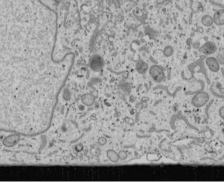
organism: Human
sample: Mitochondria in U2OS cells